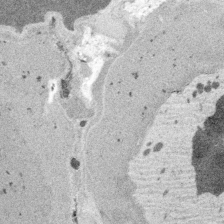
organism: Embia sp.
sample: Silk gland